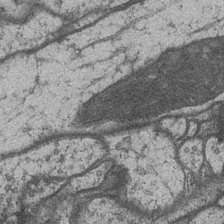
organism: Drosophila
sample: Optic medulla